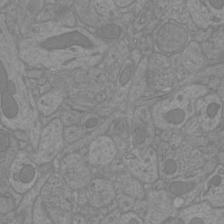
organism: Mouse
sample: Cortical neurons